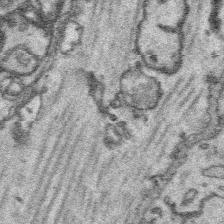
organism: Platynereis dumerilii